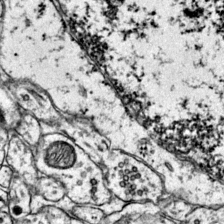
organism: Mouse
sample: Primary visual cortex